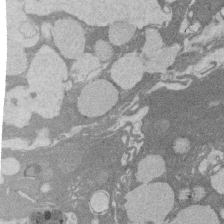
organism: Rat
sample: Salivary granule